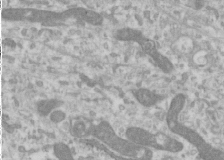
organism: Human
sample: Cilia; basal body in RPE cells